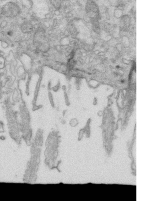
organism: Mouse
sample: Multiciliated cells